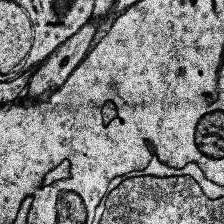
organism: Human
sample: Temporal Lobe